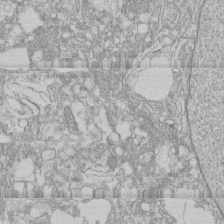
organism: Human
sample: CRL-1474